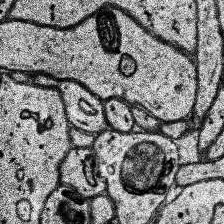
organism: Human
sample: Temporal Lobe